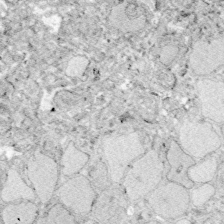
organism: Zebrafish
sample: Whole-Brain